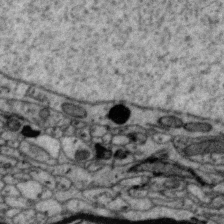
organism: Zebra finch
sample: Brain